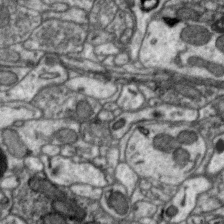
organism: Zebra finch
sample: Brain